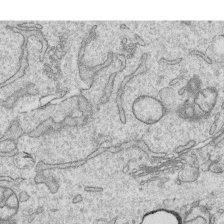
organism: Human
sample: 1205lu cells